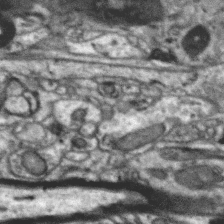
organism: Zebra finch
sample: Brain